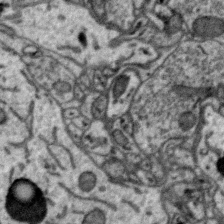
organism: Zebra finch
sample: Brain